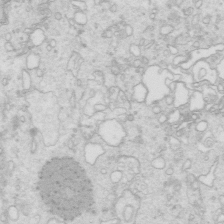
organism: Mouse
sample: Multiciliated cells